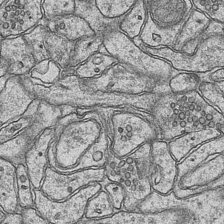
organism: Mouse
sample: CA1 Hippocampus